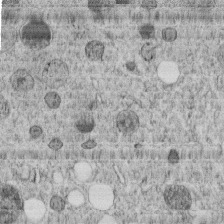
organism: C. elegans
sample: C. elegans embryo early stage